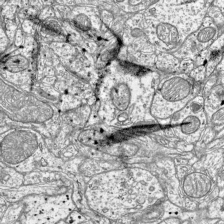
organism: Mouse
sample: Visual Cortex